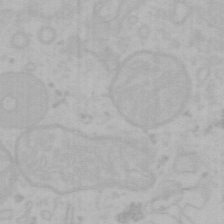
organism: Mouse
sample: Choroid plexus